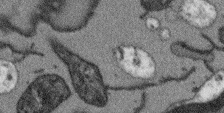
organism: Arabidopsis thaliana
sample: Root tip